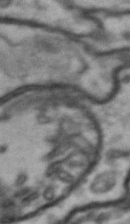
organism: Drosophila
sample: Brain